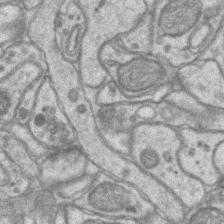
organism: Mouse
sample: CA1 Hippocampus